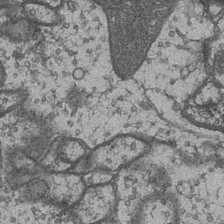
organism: Drosophila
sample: Optic medulla